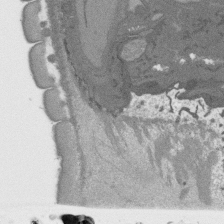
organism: C. elegans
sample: AFD neurons C. elegans